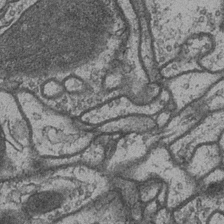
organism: Drosophila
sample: Optic medulla